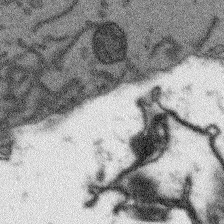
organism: Arabidopsis thaliana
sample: Root tip